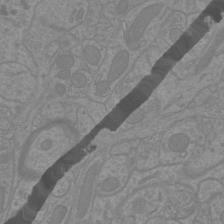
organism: Mouse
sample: Cortical neurons